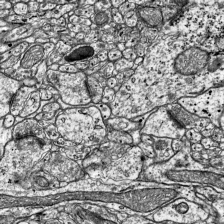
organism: Mouse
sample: Visual Cortex